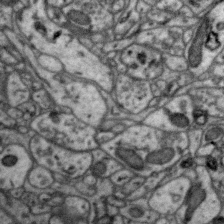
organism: Zebra finch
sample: Brain